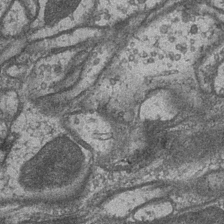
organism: Drosophila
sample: Optic medulla